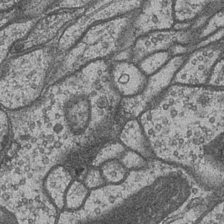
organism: Drosophila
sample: Optic medulla